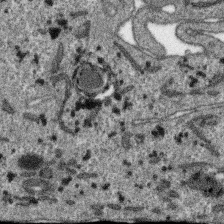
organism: Human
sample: Lung epithelial cells infected with SARS-CoV-2